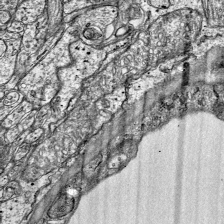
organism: Mouse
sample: Visual Cortex